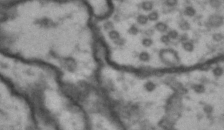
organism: Drosophila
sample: Brain